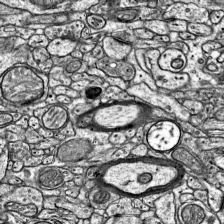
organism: Mouse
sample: Visual Cortex